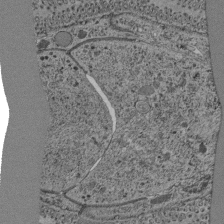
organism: C. elegans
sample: C. elegans pharynx